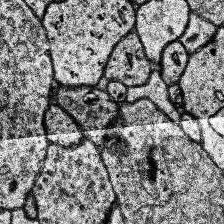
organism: Human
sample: Temporal Lobe